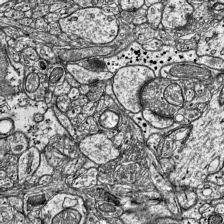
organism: Mouse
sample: Visual Cortex